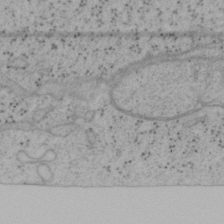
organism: Human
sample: HeLa cells